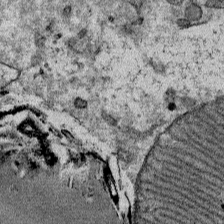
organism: Mouse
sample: Mouse Salivary gland